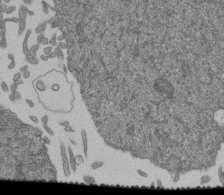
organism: Human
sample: Retinal organoid Rod and Cone cells